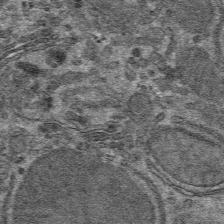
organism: Mouse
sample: Mouse hepatocytes